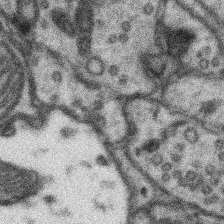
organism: Mouse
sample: Somatosensory cortex neuropil